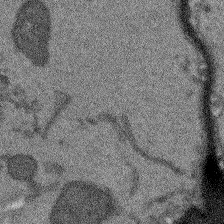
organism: Arabidopsis thaliana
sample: Root tip